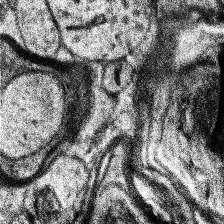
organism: Human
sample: Temporal Lobe